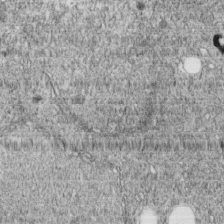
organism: C. elegans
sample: C. elegans embryo early stage